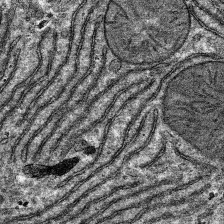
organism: Mouse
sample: Mouse hepatocytes